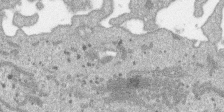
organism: Human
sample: Lung epithelial cells infected with SARS-CoV-2